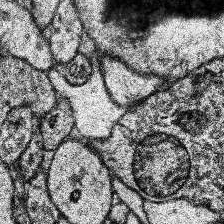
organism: Human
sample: Temporal Lobe